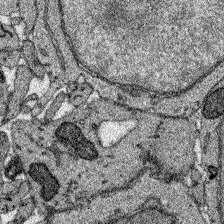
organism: Zebrafish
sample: Larval olfactory bulb